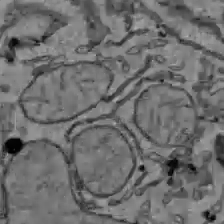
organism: C57BL Mouse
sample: Liver